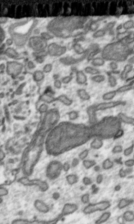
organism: Toxoplasma gondii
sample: Parasites in a vacuole inside a host cell